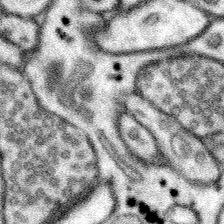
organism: Mouse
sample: Somatosensory cortex neuropil